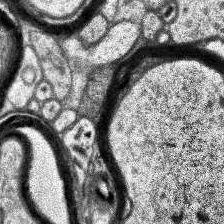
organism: Human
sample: Temporal Lobe